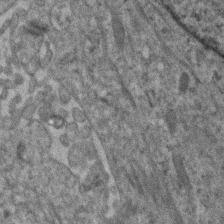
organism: Human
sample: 1205lu cells